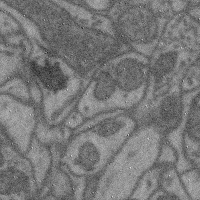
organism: Mouse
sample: Cerebral cortex